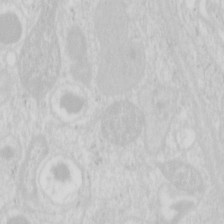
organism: Mouse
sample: Pancreas